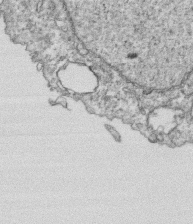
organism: Human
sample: HeLa cell HIV synapse